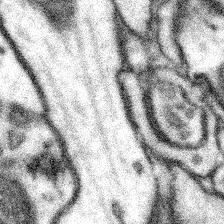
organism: Mouse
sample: Somatosensory cortex neuropil